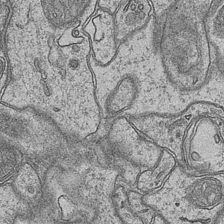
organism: Mouse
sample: CA1 Hippocampus